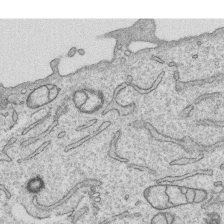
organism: Human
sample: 1205lu cells